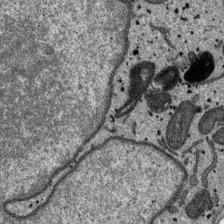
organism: Human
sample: Lung epithelial cells, uninfected (mock) control